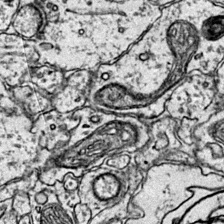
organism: Mouse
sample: Primary visual cortex